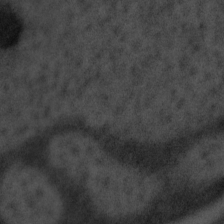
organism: Tuwongella immobilis